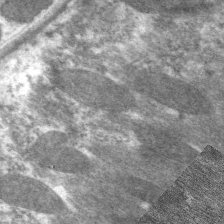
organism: C. elegans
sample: Pharynx